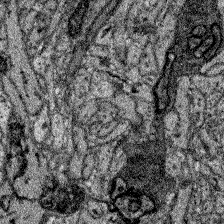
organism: Zebrafish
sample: Larval olfactory bulb